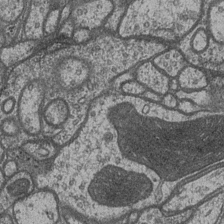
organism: Drosophila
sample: Optic medulla